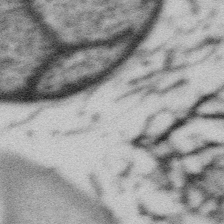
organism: Gemmata obscuriglobus